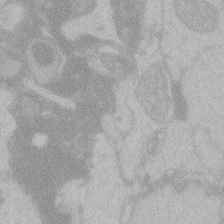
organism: Zebrafish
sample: Macrophage infected with Toxoplasma gondii